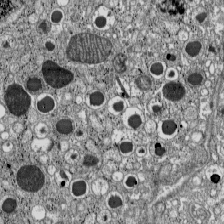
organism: C57BL Mouse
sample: Pancreatic islet